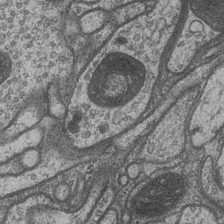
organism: Drosophila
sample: Optic medulla